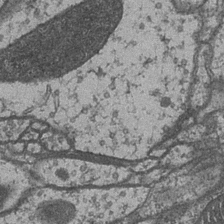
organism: Drosophila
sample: Optic medulla